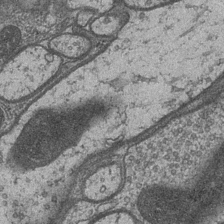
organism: Drosophila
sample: Optic medulla